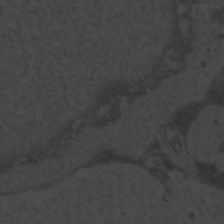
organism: Zebrafish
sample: Macrophage infected with Toxoplasma gondii